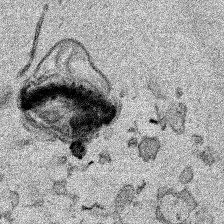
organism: Human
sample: Mitochondria in HCT116 cells